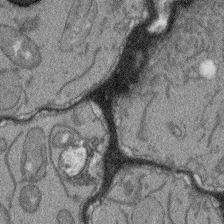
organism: Arabidopsis thaliana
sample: Root tip